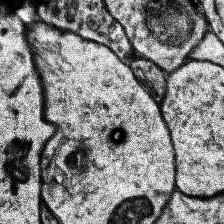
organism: Human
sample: Temporal Lobe